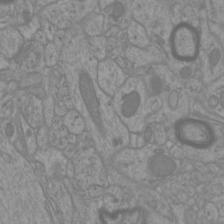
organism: Mouse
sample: Cortical neurons